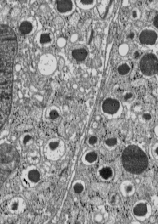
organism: C57BL Mouse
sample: Pancreatic islet